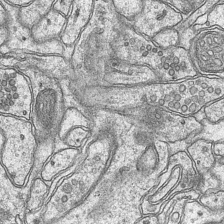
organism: Mouse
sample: CA1 Hippocampus